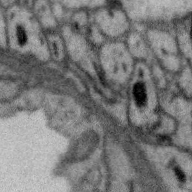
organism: Zebra finch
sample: Brain